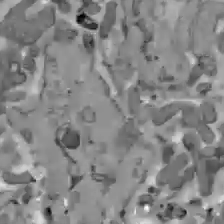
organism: C57BL Mouse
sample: Liver